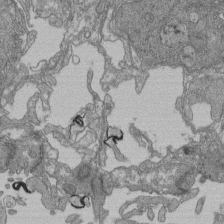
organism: Human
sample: Retinal organoid Rod and Cone cells